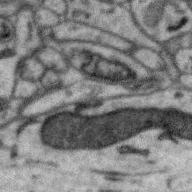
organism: Zebra finch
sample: Brain